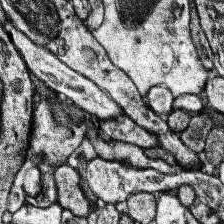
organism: Human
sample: Temporal Lobe